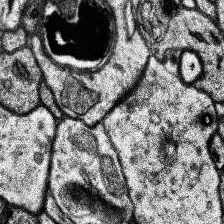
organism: Human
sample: Temporal Lobe